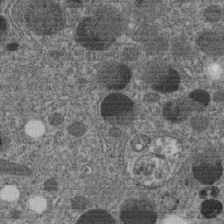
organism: C. elegans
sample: C. elegans embryo early stage